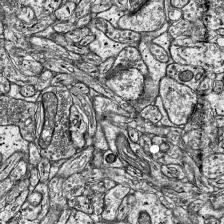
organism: Mouse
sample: Visual Cortex